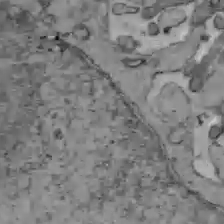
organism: C57BL Mouse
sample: Liver